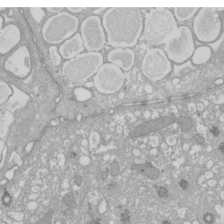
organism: Xenopus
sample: Cilia; centrioles in frog embryo cells